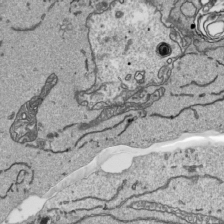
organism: Human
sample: Mitochondria in HCT116 cells